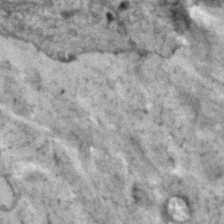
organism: Human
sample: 1205lu cells